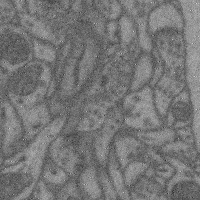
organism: Mouse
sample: Cerebral cortex